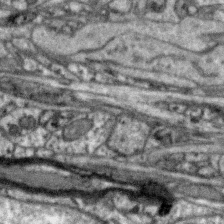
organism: Zebra finch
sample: Brain